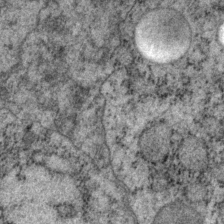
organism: P. pacificus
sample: Pharynx